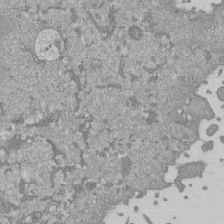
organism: Mouse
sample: ED-1 cell nuclei; centrioles